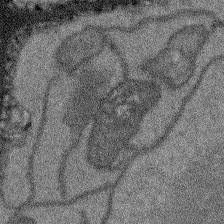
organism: Arabidopsis thaliana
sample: Root tip